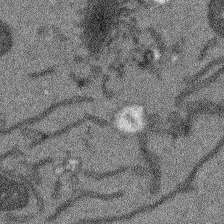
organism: Arabidopsis thaliana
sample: Root tip